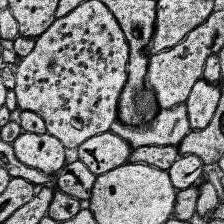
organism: Human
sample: Temporal Lobe